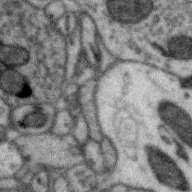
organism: Zebra finch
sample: Brain